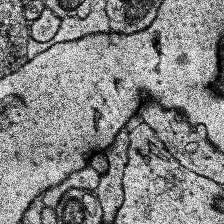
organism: Human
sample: Temporal Lobe